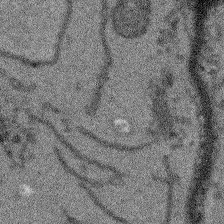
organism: Arabidopsis thaliana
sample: Root tip